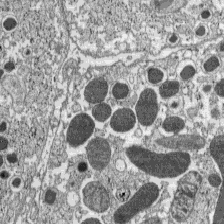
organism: C57BL Mouse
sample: Pancreatic islet